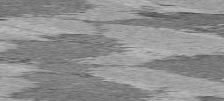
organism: C57BL Mouse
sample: Heart